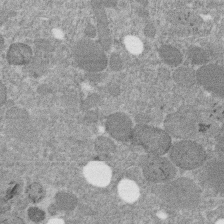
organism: C. elegans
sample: C. elegans embryo early stage